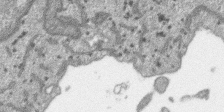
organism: Human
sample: Lung epithelial cells infected with SARS-CoV-2